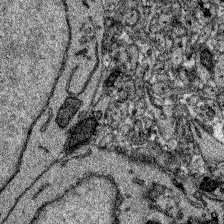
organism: Zebrafish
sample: Larval olfactory bulb